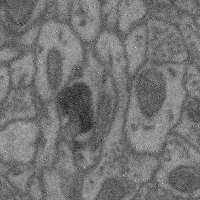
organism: Mouse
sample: Cerebral cortex